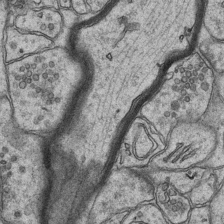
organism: Mouse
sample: CA1 Hippocampus